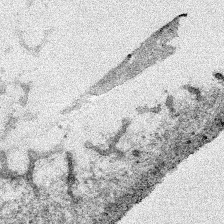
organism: Human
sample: Mitochondria in HCT116 cells